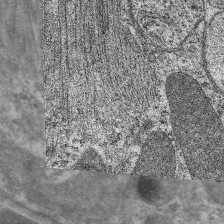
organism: C. elegans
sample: Pharynx